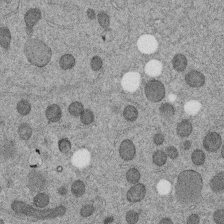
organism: C. elegans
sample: C. elegans embryo early stage